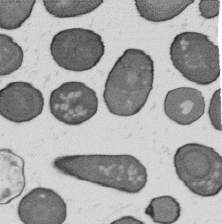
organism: B. subtilis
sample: Bacterial spore